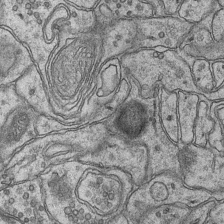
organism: Mouse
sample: CA1 Hippocampus